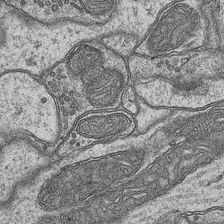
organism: Mouse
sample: CA1 Hippocampus